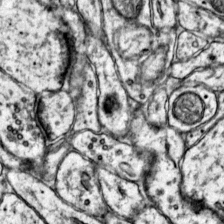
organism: Mouse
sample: Primary visual cortex